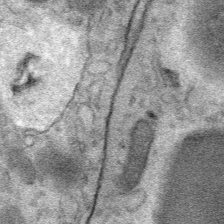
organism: Mouse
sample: Mouse Salivary gland